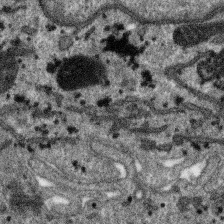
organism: Human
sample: Lung epithelial cells infected with SARS-CoV-2